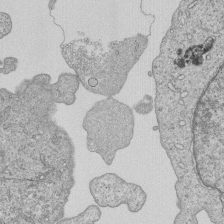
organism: Human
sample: MDA-MB-231 cells